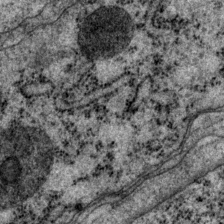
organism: P. pacificus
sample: Pharynx